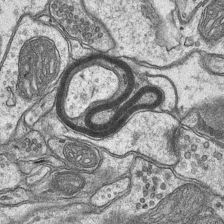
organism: Mouse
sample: CA1 Hippocampus